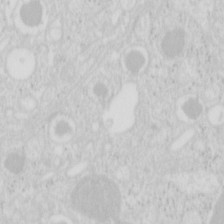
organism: Mouse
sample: Pancreas